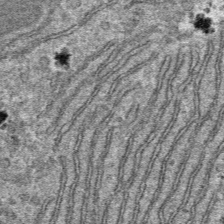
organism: Mouse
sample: Mouse hepatocytes